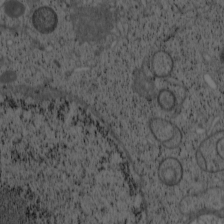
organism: African green monkey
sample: COS-7 cells